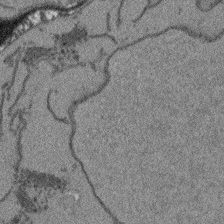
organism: Arabidopsis thaliana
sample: Root tip